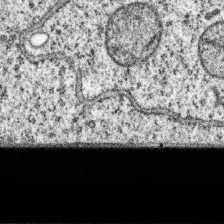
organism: Human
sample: HeLa cells